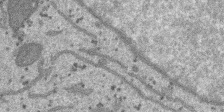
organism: Human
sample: Lung epithelial cells infected with SARS-CoV-2